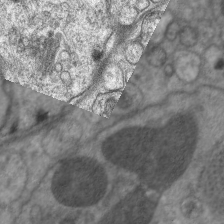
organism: C. elegans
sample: Pharynx